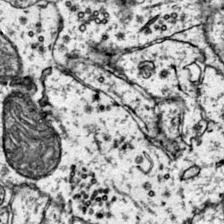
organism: Mouse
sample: Primary visual cortex